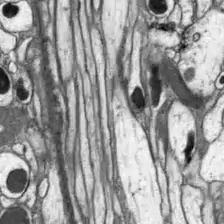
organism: Drosophila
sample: Optic lobe